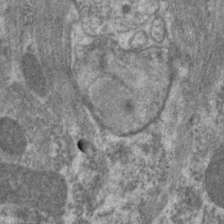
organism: C. elegans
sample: Pharynx